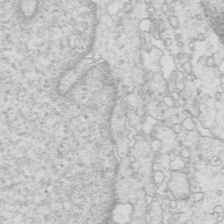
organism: Mouse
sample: Multiciliated cells